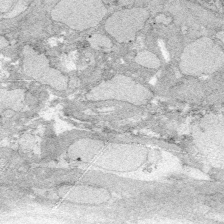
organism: Zebrafish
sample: Whole-Brain